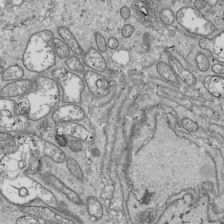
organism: Drosophila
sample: Cell division; meiosis; drosophila spermatocytes